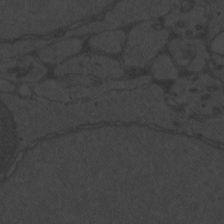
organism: Zebrafish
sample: Macrophage infected with Toxoplasma gondii